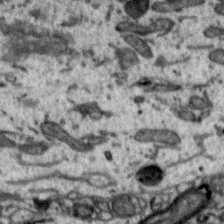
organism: Zebra finch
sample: Brain